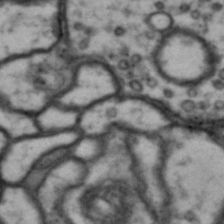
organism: Drosophila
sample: Brain